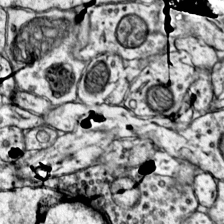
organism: Mouse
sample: Primary visual cortex